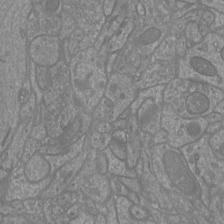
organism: Mouse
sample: Cortical neurons